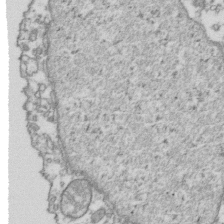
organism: Human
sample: Activated Jurkat CD4+ T cells